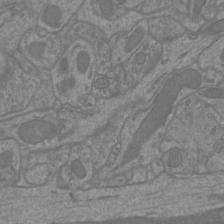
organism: Mouse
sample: Cortical neurons